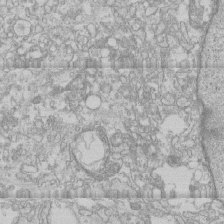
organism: Human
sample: CRL-1474